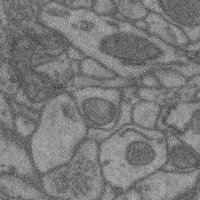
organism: Mouse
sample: Cerebral cortex